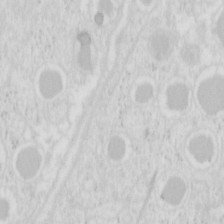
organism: Mouse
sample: Pancreas